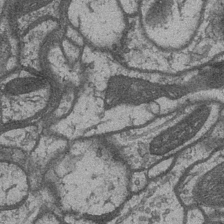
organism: Drosophila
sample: Optic medulla